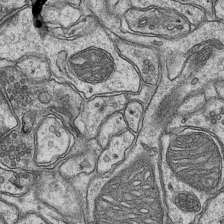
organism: Mouse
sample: CA1 Hippocampus